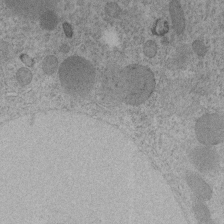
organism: C. elegans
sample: C. elegans embryo early stage